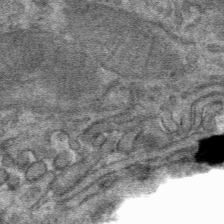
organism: Mouse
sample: Mouse hepatocytes